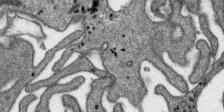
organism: Human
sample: Lung epithelial cells, uninfected (mock) control